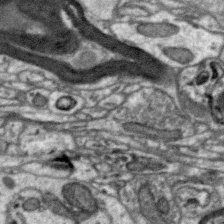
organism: Zebra finch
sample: Brain